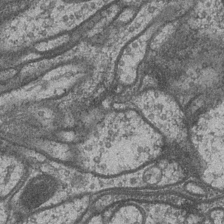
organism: Drosophila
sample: Optic medulla